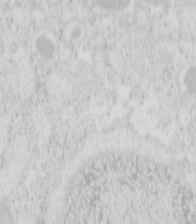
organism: Mouse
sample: Pancreas